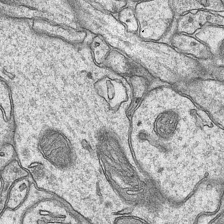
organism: Mouse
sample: CA1 Hippocampus